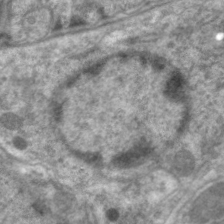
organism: C. elegans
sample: Pharynx